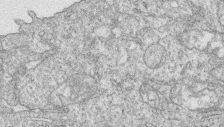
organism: Human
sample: HeLa cell HIV synapse